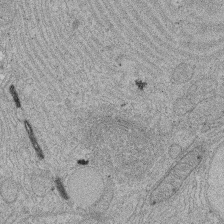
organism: Rat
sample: Salivary granule